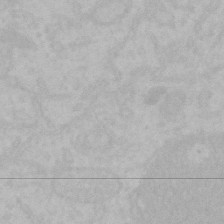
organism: Mouse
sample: Choroid plexus